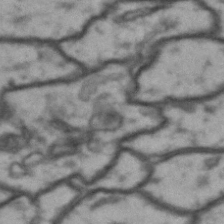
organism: Drosophila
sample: Brain